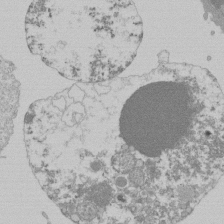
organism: Mouse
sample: Activated Pmel transgenic CD8+ T Cells